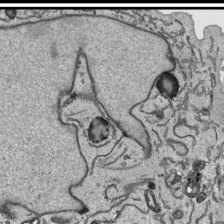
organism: Human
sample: Mitochondria in HCT116 cells